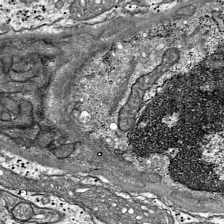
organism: Mouse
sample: Visual Cortex